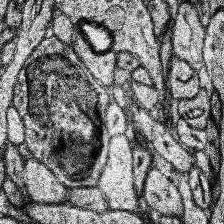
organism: Human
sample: Temporal Lobe